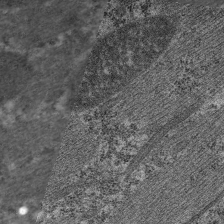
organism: C. elegans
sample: Pharynx